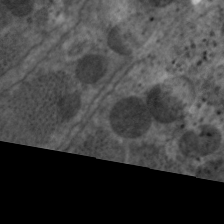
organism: C. elegans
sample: Pharynx